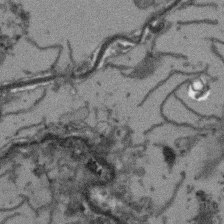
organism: Arabidopsis thaliana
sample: Root tip